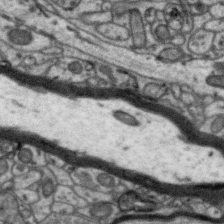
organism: Zebra finch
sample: Brain